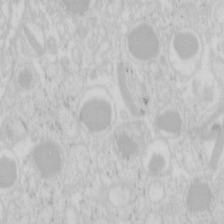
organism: Mouse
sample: Pancreas